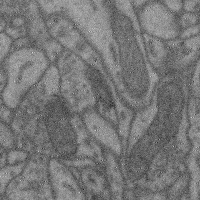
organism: Mouse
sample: Cerebral cortex